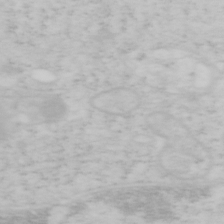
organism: Mouse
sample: OT-I killer T cells with ID8 ovarian cancer cells